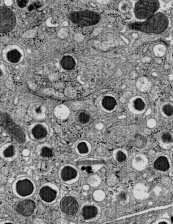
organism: C57BL Mouse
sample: Pancreatic islet